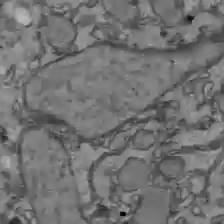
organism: C57BL Mouse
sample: Liver